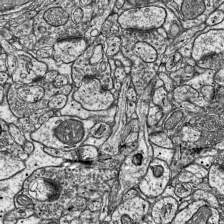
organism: Mouse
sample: Visual Cortex